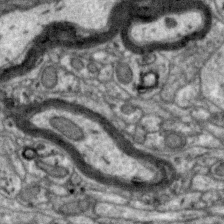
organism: Zebra finch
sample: Brain